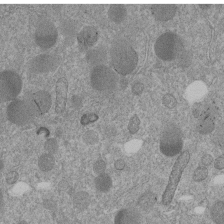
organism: C. elegans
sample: C. elegans embryo early stage